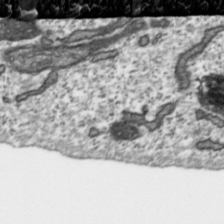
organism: Toxoplasma gondii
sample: Parasites in a vacuole inside a host cell